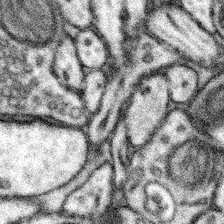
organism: Mouse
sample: Somatosensory cortex neuropil